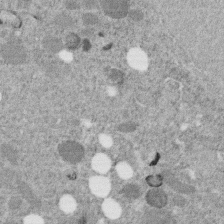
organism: C. elegans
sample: C. elegans embryo early stage